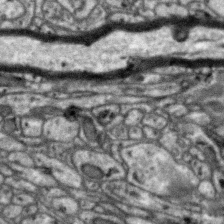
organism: Zebra finch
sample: Brain